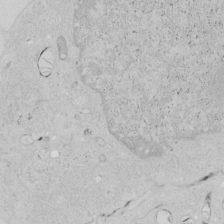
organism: Human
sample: Mitochondria in HCT116 cells